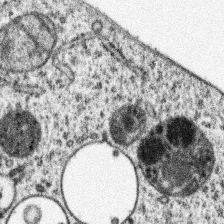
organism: Human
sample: HeLa cells